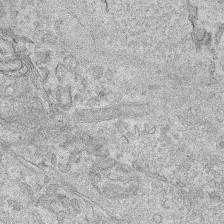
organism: Human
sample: Mitochondria in HCT116 cells